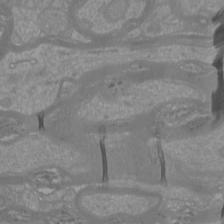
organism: Mouse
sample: Cortical neurons